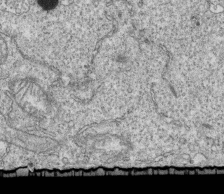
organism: Human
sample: HeLa cell HIV synapse